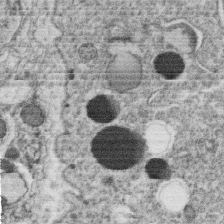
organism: C. elegans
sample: C. elegans oocyte; sperm cells